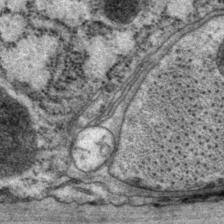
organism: P. pacificus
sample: Pharynx